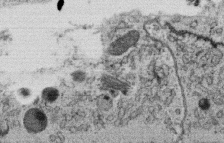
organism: C. elegans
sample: C. elegans oocyte; sperm cells